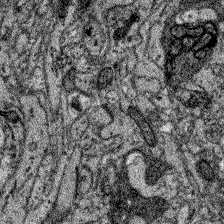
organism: Zebrafish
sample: Larval olfactory bulb